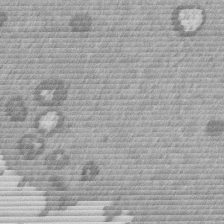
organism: Mouse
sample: Dividing mouse embryo 1 cell stage